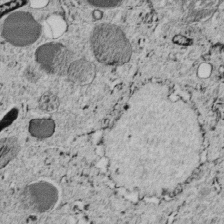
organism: C. elegans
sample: C. elegans embryo early stage